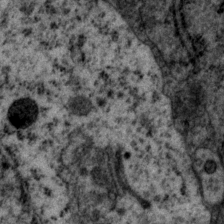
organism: P. pacificus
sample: Pharynx